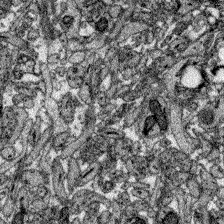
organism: Zebrafish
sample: Larval olfactory bulb